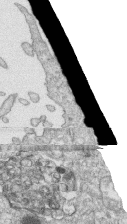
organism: Human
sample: HeLa cell HIV synapse